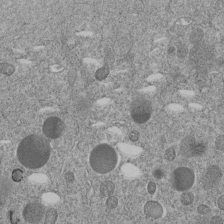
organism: C. elegans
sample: C. elegans embryo early stage